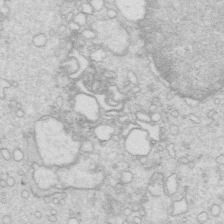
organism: Mouse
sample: Multiciliated cells